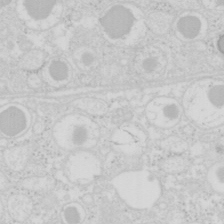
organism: Mouse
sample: Pancreas